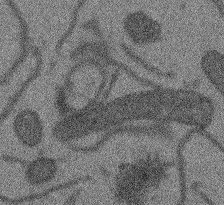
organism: Arabidopsis thaliana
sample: Root tip